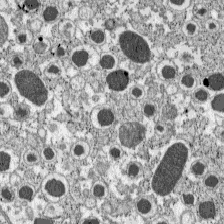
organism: C57BL Mouse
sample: Pancreatic islet